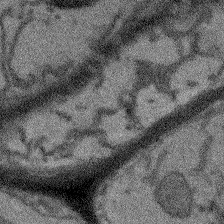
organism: Arabidopsis thaliana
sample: Root tip